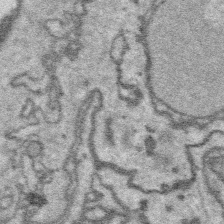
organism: Platynereis dumerilii